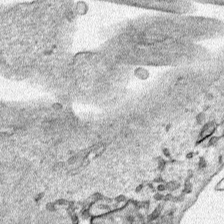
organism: Human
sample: Mitochondria in HCT116 cells